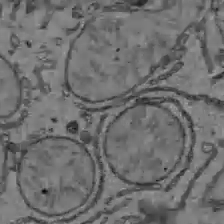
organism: C57BL Mouse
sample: Liver